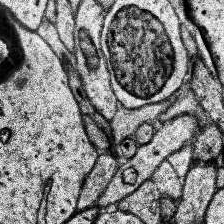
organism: Human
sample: Temporal Lobe